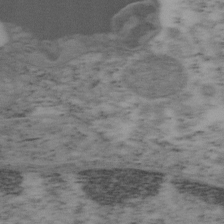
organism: Mouse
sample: OT-I killer T cells with ID8 ovarian cancer cells